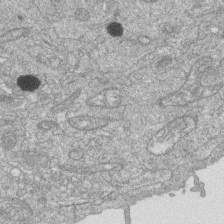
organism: Human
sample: HeLa cell HIV synapse